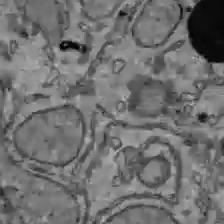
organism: C57BL Mouse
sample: Liver